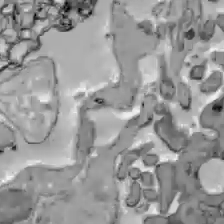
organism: C57BL Mouse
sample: Liver